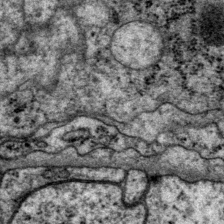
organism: P. pacificus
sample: Pharynx